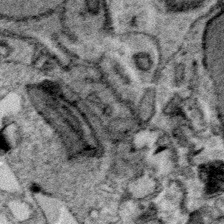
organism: Plasmodium falciparum